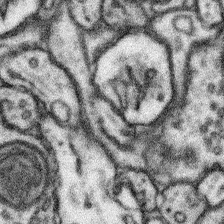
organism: Mouse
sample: Somatosensory cortex neuropil